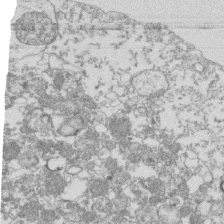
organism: Human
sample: HeLa cell HIV synapse